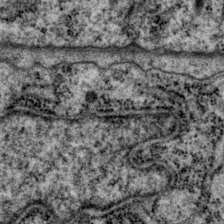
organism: P. pacificus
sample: Pharynx